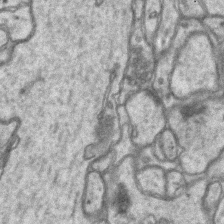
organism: Mouse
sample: CA1 Hippocampus